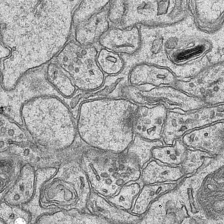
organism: Mouse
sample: CA1 Hippocampus